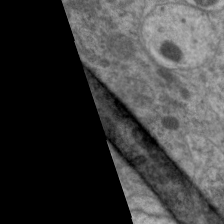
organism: C. elegans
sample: Pharynx